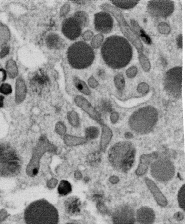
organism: C. elegans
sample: C. elegans oocyte; sperm cells